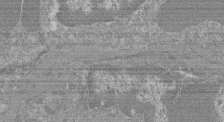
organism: Mouse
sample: Glomerulus